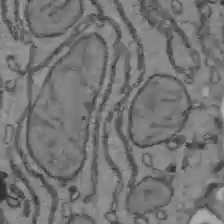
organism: C57BL Mouse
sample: Liver